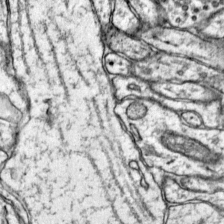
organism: Mouse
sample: Primary visual cortex